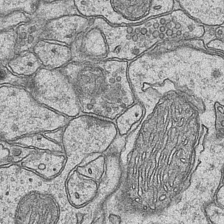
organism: Mouse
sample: CA1 Hippocampus